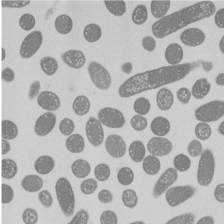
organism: E. coli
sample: Bacterial nucleoid